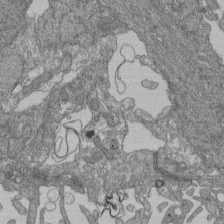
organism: Human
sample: Retinal organoid Rod and Cone cells